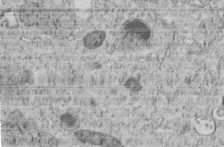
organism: C. elegans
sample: C. elegans embryo early stage